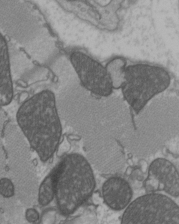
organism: C57BL Mouse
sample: Heart